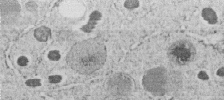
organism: C. elegans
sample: C. elegans embryo early stage